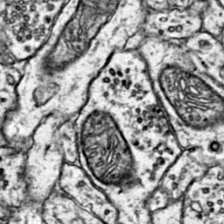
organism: Mouse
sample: Primary visual cortex